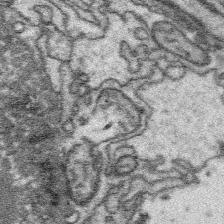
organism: Platynereis dumerilii